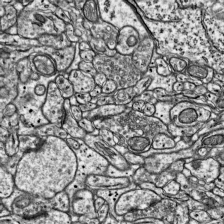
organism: Mouse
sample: Visual Cortex